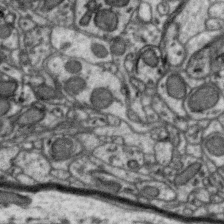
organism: Zebra finch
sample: Brain